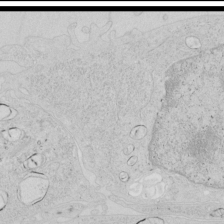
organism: Human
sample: Mitochondria in HCT116 cells